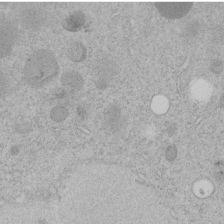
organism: C. elegans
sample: C. elegans embryo early stage